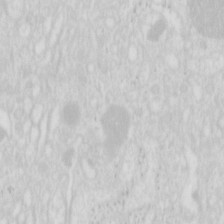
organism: Mouse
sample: Pancreas